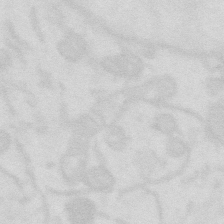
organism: Human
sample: HeLa cells